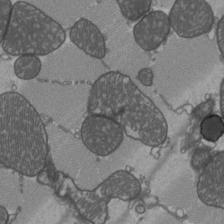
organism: C57BL Mouse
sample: Heart